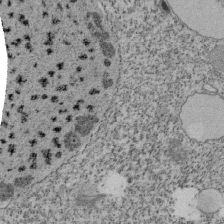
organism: Tetrahymena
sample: Cilia in tetrahymena